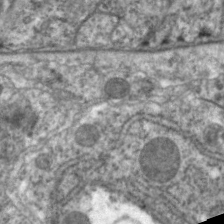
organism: C. elegans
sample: Pharynx